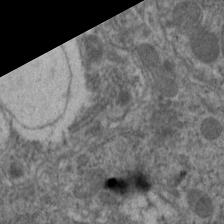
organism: C. elegans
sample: Pharynx